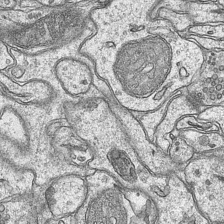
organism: Mouse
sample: CA1 Hippocampus